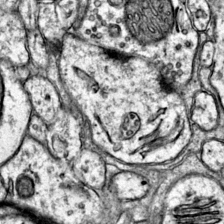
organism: Mouse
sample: Primary visual cortex